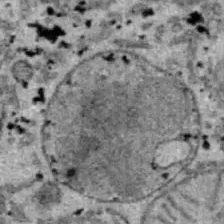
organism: Mouse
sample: Liver from an obese (ob/ob) mouse